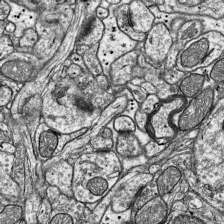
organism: Mouse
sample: Visual Cortex